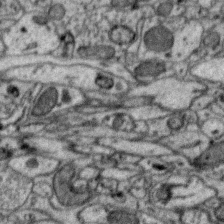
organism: Zebra finch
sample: Brain